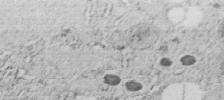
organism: C. elegans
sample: C. elegans embryo early stage